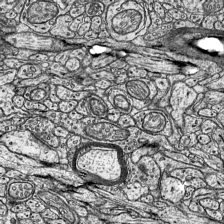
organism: Mouse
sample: Visual Cortex